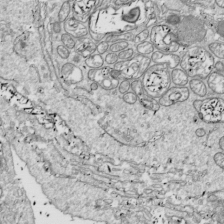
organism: Drosophila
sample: Cell division; meiosis; drosophila spermatocytes